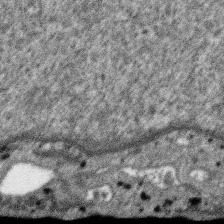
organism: Human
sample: Lung epithelial cells infected with SARS-CoV-2